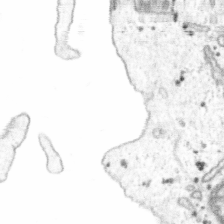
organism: Human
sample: HeLa cells